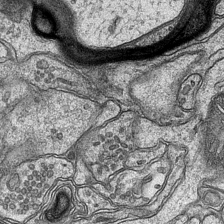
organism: Mouse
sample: CA1 Hippocampus